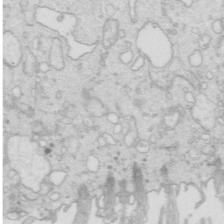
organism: Mouse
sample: Multiciliated cells